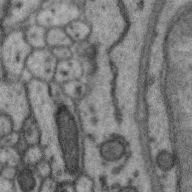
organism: Zebra finch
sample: Brain